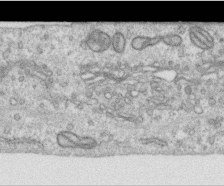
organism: Human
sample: Centriole in RPE cells